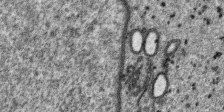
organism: Human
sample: Lung epithelial cells infected with SARS-CoV-2